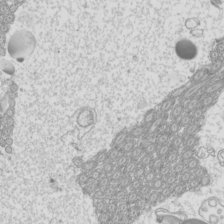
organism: Mouse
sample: Cilia; mouse epididymis